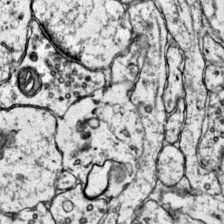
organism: Mouse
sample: Primary visual cortex